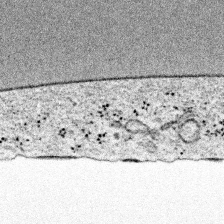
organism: Human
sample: HeLa cells